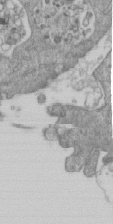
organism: Mouse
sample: ED-1 cell nuclei; centrioles